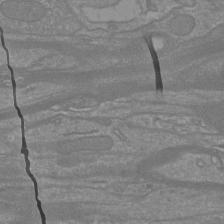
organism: Mouse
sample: Cortical neurons